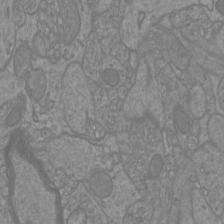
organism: Mouse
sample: Cortical neurons